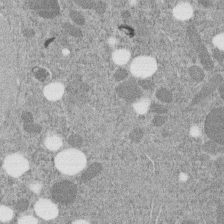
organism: C. elegans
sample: C. elegans embryo early stage